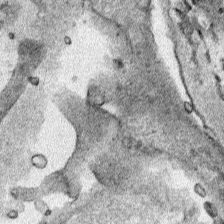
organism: Human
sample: Mitochondria in HCT116 cells